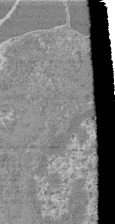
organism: Mouse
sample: Glomerulus